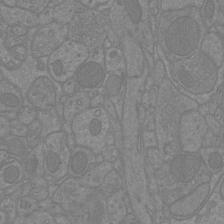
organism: Mouse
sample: Cortical neurons